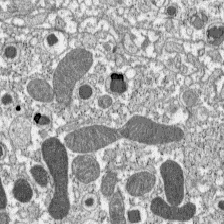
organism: C57BL Mouse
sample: Pancreatic islet